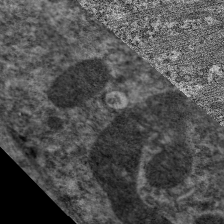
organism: C. elegans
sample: Pharynx